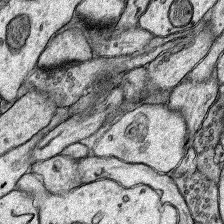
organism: Rat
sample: Hippocampus